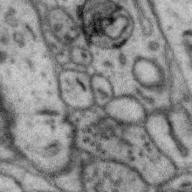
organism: Zebra finch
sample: Brain